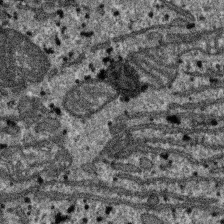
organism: Human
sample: Lung epithelial cells infected with SARS-CoV-2